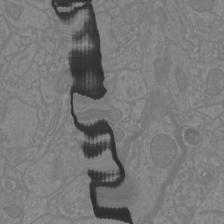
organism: Mouse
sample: Cortical neurons